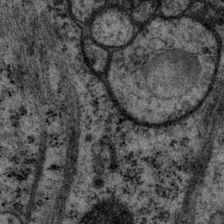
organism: P. pacificus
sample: Pharynx